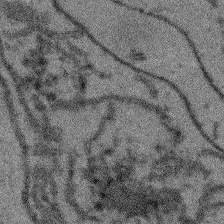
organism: Arabidopsis thaliana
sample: Root tip